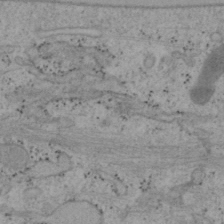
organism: Human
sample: HeLa cells